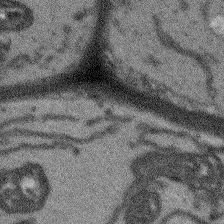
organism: Arabidopsis thaliana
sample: Root tip